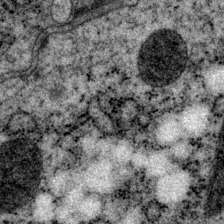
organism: P. pacificus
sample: Pharynx